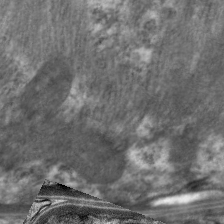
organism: C. elegans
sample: Pharynx